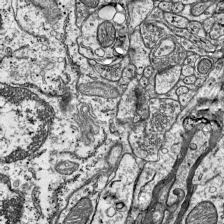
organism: Mouse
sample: Visual Cortex